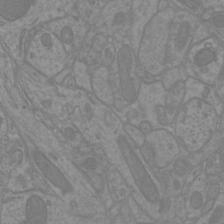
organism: Mouse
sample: Cortical neurons